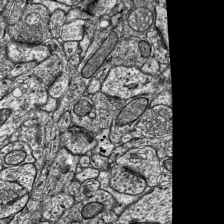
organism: Mouse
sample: Visual Cortex